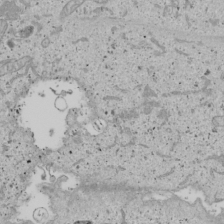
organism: Human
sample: Mitochondria in U2OS cells